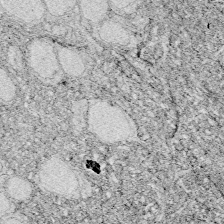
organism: Zebrafish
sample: Whole-Brain